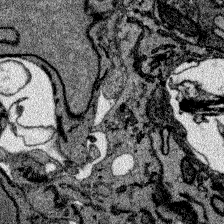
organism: Zebrafish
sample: Larval olfactory bulb